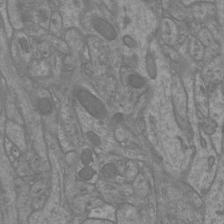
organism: Mouse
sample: Cortical neurons